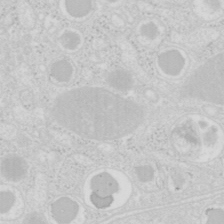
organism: Mouse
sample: Pancreas